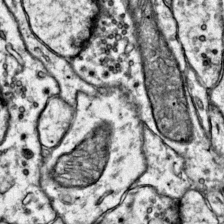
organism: Mouse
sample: Primary visual cortex